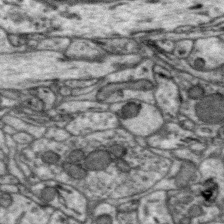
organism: Zebra finch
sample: Brain